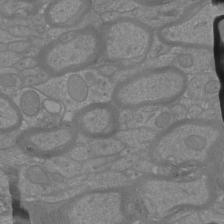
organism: Mouse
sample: Cortical neurons